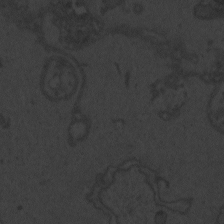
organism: Zebrafish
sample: Macrophage infected with Toxoplasma gondii